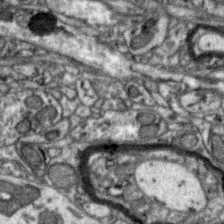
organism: Zebra finch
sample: Brain